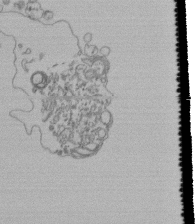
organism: Human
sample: Retinal organoid Rod and Cone cells